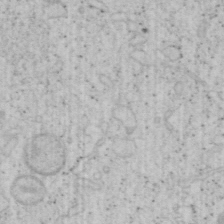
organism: Human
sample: HeLa cells